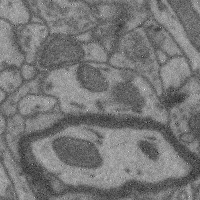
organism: Mouse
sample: Cerebral cortex